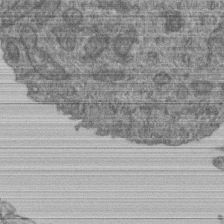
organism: Human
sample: Retinal organoid Rod and Cone cells